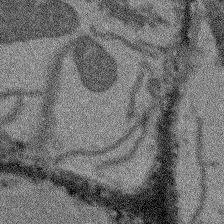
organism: Arabidopsis thaliana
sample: Root tip